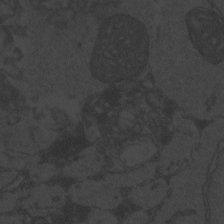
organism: Zebrafish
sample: Macrophage infected with Toxoplasma gondii